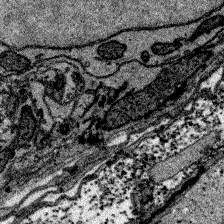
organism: Zebrafish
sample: Larval olfactory bulb